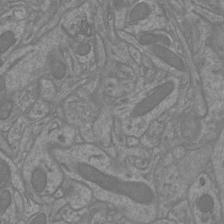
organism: Mouse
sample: Cortical neurons